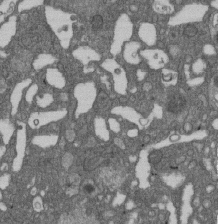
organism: Drosophila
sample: Nephrocyte